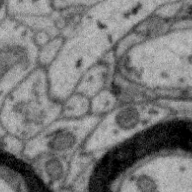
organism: Zebra finch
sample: Brain